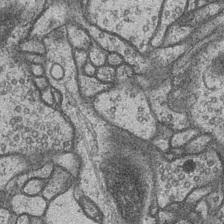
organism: Drosophila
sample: Optic medulla